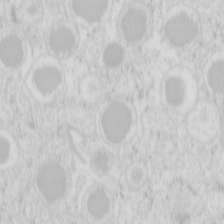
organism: Mouse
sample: Pancreas